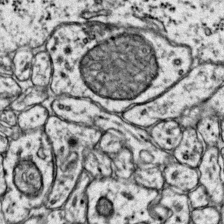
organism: Mouse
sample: Primary visual cortex